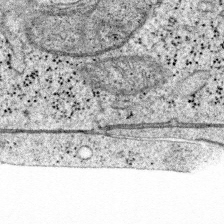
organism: Human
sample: HeLa cells